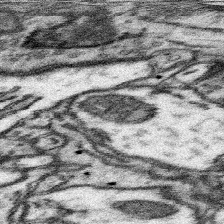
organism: Mouse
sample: Somatosensory cortex neuropil